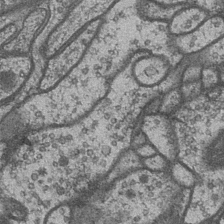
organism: Drosophila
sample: Optic medulla